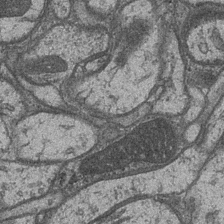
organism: Drosophila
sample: Optic medulla